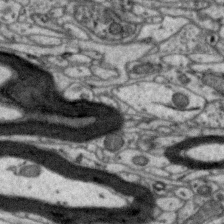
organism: Zebra finch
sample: Brain